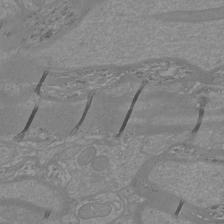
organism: Mouse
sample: Cortical neurons